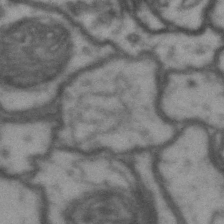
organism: Drosophila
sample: Brain